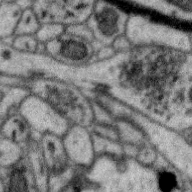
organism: Zebra finch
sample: Brain